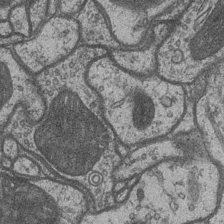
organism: Drosophila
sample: Optic medulla